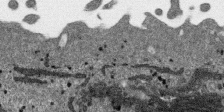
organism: Human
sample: Lung epithelial cells, uninfected (mock) control